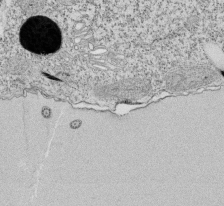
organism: Tetrahymena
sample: Cilia in tetrahymena